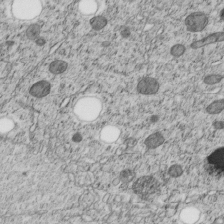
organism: C. elegans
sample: C. elegans embryo early stage